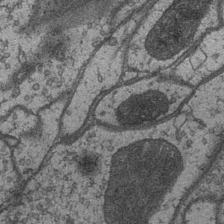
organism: Drosophila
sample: Optic medulla